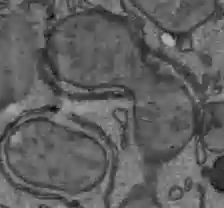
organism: C57BL Mouse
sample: Liver